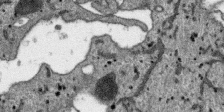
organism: Human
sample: Lung epithelial cells, uninfected (mock) control